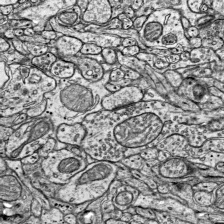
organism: Mouse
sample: Visual Cortex